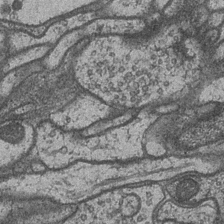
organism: Drosophila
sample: Optic medulla